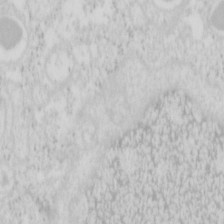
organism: Mouse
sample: Pancreas